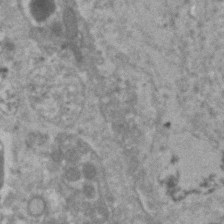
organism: Human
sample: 1205lu cells